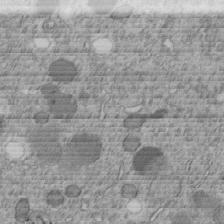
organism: C. elegans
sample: C. elegans embryo early stage